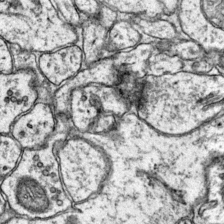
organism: Mouse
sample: Primary visual cortex